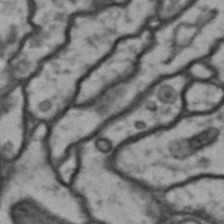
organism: Drosophila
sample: Brain